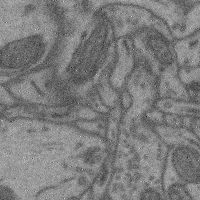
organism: Mouse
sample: Cerebral cortex